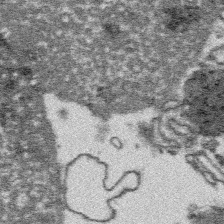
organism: Platynereis dumerilii